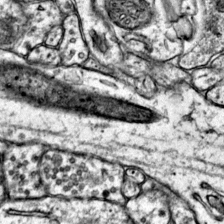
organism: Mouse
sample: Primary visual cortex